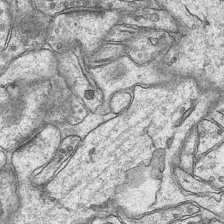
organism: Mouse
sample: CA1 Hippocampus